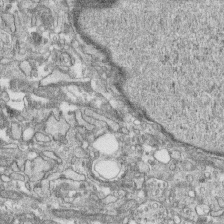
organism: Human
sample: CRL-1474